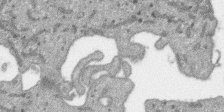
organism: Human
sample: Lung epithelial cells infected with SARS-CoV-2